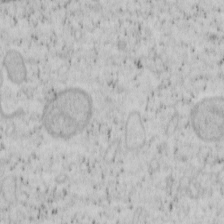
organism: Human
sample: HeLa cells